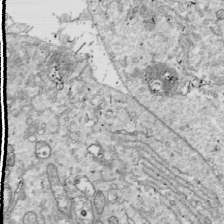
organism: Drosophila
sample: Cell division; meiosis; drosophila spermatocytes